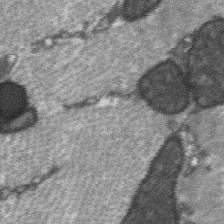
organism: C57BL Mouse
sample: Soleus